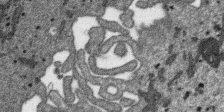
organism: Human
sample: Lung epithelial cells infected with SARS-CoV-2